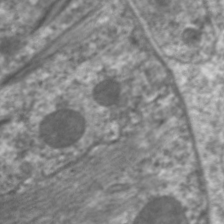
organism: C. elegans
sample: Pharynx